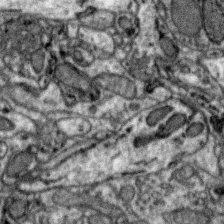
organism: Zebra finch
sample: Brain